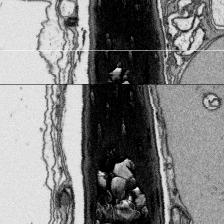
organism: Platynereis dumerilii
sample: Parapodia